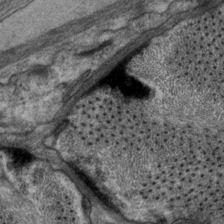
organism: P. pacificus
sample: Pharynx